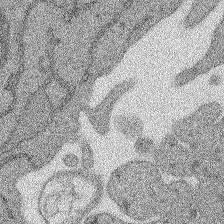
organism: Human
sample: HeLa cells